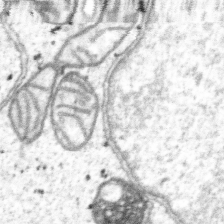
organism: Human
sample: HeLa cells